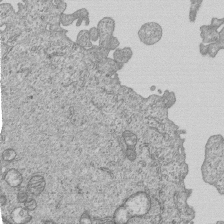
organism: Human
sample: MDA-MB-231 cells